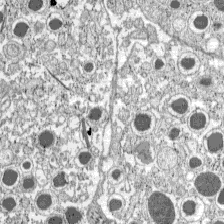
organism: C57BL Mouse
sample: Pancreatic islet